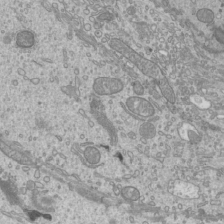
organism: Mouse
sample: Cilia; mouse epididymis